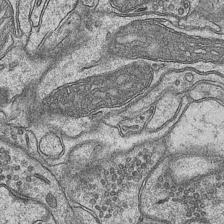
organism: Mouse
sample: CA1 Hippocampus